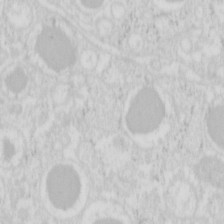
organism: Mouse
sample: Pancreas